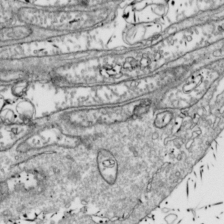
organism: Drosophila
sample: Cell division; meiosis; drosophila spermatocytes